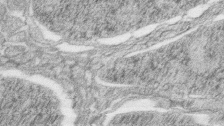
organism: Zebrafish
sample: synaptic ribbons in rod cells and cone cells